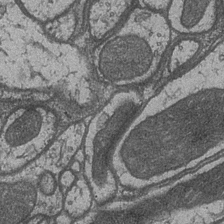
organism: Drosophila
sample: Optic medulla